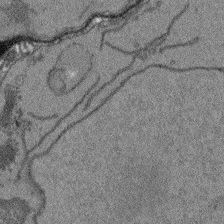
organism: Arabidopsis thaliana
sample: Root tip